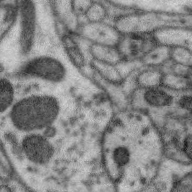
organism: Zebra finch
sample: Brain